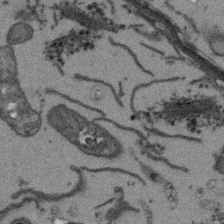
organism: Arabidopsis thaliana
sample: Root tip